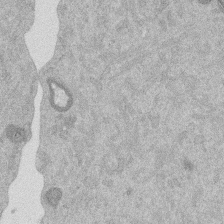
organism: Mouse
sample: Dividing mouse embryo 1 cell stage